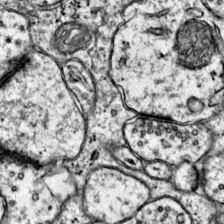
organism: Mouse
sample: Primary visual cortex